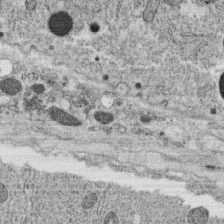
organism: C. elegans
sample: C. elegans oocyte; sperm cells